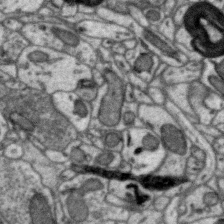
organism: Zebra finch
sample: Brain